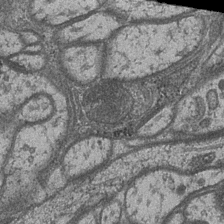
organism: Drosophila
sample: Optic medulla